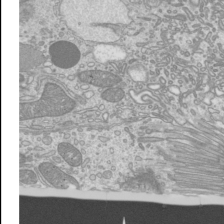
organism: Mouse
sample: Cilia; mouse epididymis